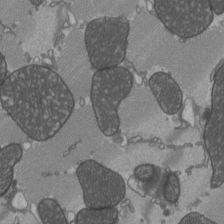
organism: C57BL Mouse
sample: Heart